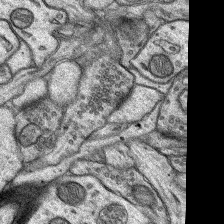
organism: Rat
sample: Hippocampus